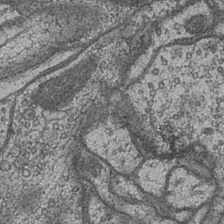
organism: Drosophila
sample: Optic medulla